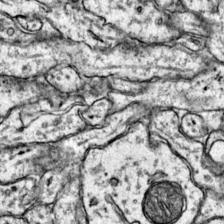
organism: Mouse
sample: Primary visual cortex